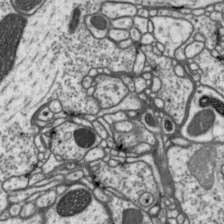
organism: Drosophila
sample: Protocerebral bridge